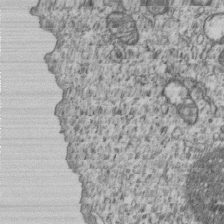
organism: Human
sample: MDA-MB-231 cells